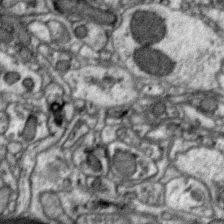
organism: Zebra finch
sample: Brain